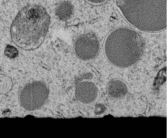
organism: C. elegans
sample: C. elegans embryo early stage